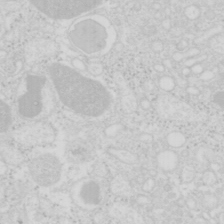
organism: Mouse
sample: Pancreas